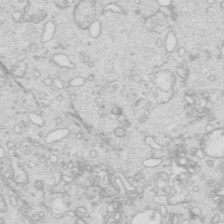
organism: Mouse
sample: Multiciliated cells